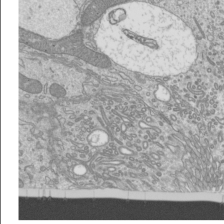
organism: Mouse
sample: Cilia; mouse epididymis